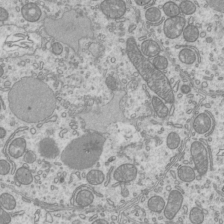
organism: Mouse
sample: Cilia; mouse epididymis